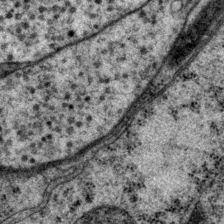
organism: P. pacificus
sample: Pharynx